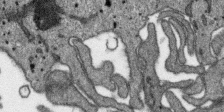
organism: Human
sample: Lung epithelial cells, uninfected (mock) control